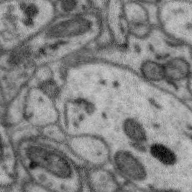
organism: Zebra finch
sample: Brain